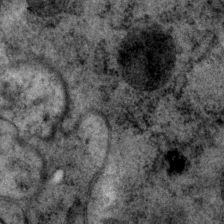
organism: P. pacificus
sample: Pharynx